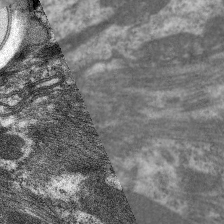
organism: C. elegans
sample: Pharynx